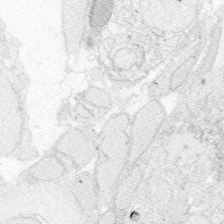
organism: Zebrafish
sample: Whole-Brain